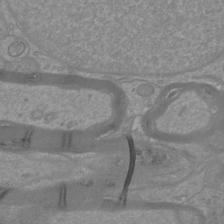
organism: Mouse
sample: Cortical neurons